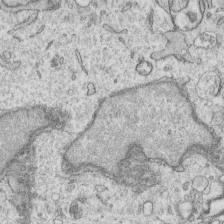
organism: Human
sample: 1205lu cells